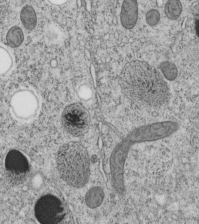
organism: C. elegans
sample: C. elegans embryo early stage